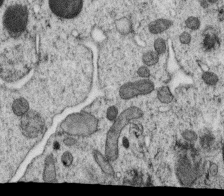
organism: C. elegans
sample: C. elegans oocyte; sperm cells